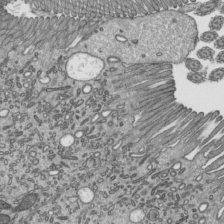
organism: Mouse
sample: Mouse epididymis efferent ductule cilia